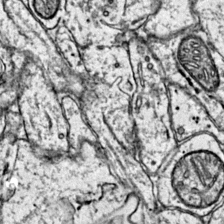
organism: Mouse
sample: Primary visual cortex